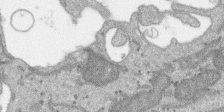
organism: Human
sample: Lung epithelial cells infected with SARS-CoV-2